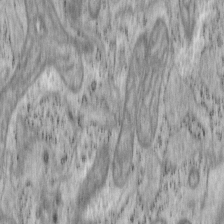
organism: Human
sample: HeLa cells